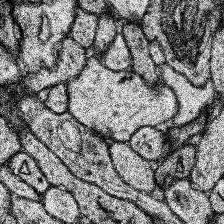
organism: Human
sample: Temporal Lobe